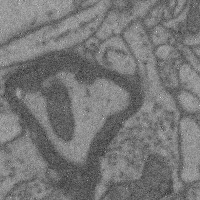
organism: Mouse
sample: Cerebral cortex